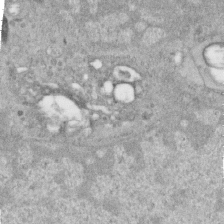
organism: Human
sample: Centriole in RPE cells